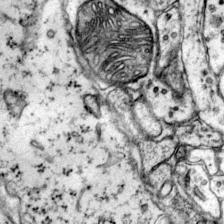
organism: Mouse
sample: Primary visual cortex